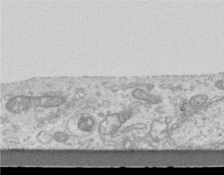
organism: Mouse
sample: Centriole in ependymal cells